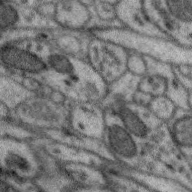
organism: Zebra finch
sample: Brain